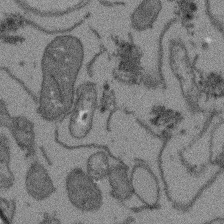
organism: Arabidopsis thaliana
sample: Root tip